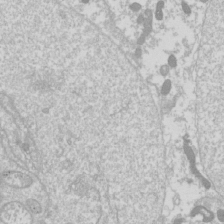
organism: Drosophila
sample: Cell division; meiosis; drosophila spermatocytes